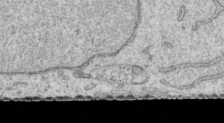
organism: Human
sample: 1205lu cells